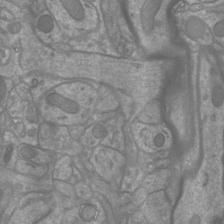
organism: Mouse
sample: Cortical neurons